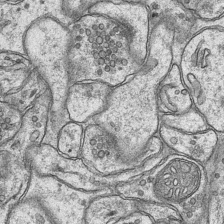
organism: Mouse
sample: CA1 Hippocampus